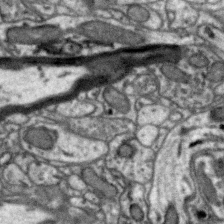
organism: Zebra finch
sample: Brain